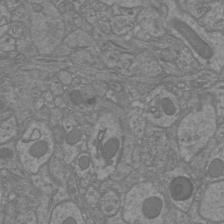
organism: Mouse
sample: Cortical neurons